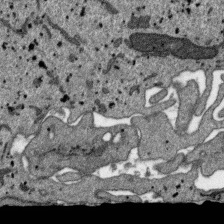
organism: Human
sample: Lung epithelial cells, uninfected (mock) control